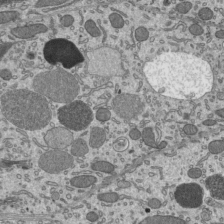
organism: Mouse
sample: Mouse epididymis efferent ductule cilia